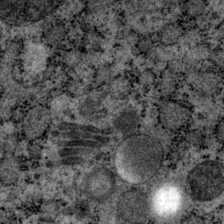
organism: P. pacificus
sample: Pharynx